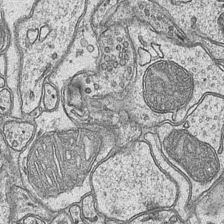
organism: Mouse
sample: CA1 Hippocampus